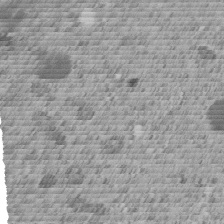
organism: C. elegans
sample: C. elegans embryo early stage